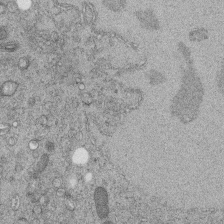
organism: C. elegans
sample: C. elegans embryo early stage